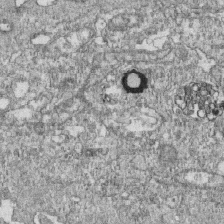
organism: Human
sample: HeLa cell HIV synapse